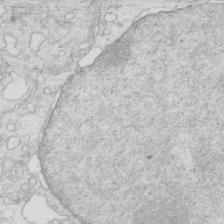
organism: Mouse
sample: Multiciliated cells